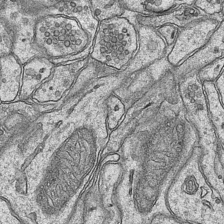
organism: Mouse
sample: CA1 Hippocampus